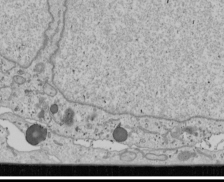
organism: Human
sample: Mitochondria in U2OS cells